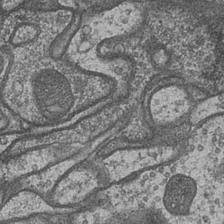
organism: Drosophila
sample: Optic medulla